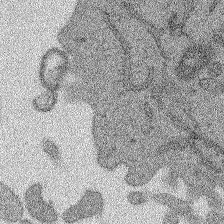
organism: Human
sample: HeLa cells